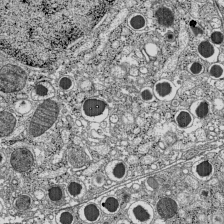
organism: C57BL Mouse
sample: Pancreatic islet